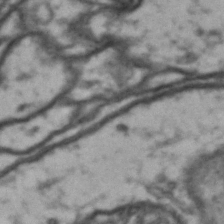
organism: Drosophila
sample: Brain